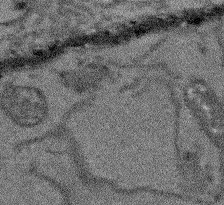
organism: Arabidopsis thaliana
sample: Root tip